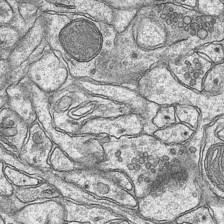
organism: Mouse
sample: CA1 Hippocampus